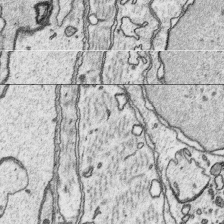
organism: Platynereis dumerilii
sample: Parapodia